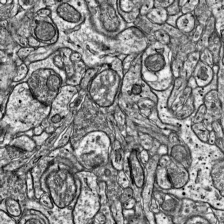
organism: Mouse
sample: Visual Cortex